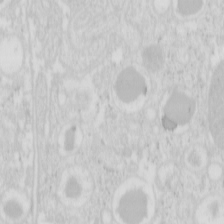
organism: Mouse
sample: Pancreas